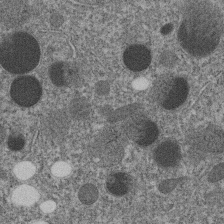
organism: C. elegans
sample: C. elegans embryo early stage